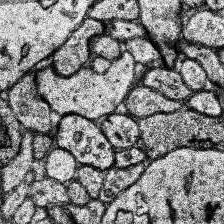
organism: Human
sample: Temporal Lobe